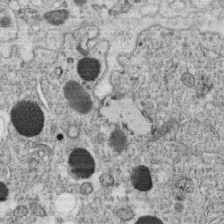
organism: C. elegans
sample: C. elegans oocyte; sperm cells